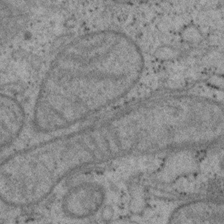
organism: Human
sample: HeLa cells